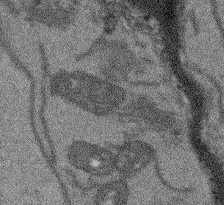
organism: Arabidopsis thaliana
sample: Root tip